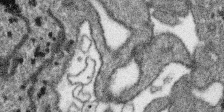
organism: Human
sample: Lung epithelial cells infected with SARS-CoV-2